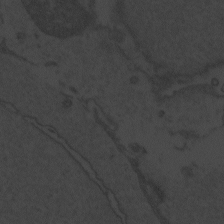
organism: Zebrafish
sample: Macrophage infected with Toxoplasma gondii